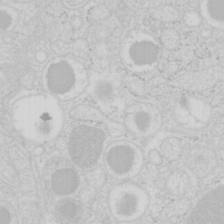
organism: Mouse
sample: Pancreas